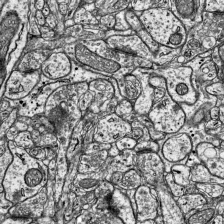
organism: Mouse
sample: Visual Cortex